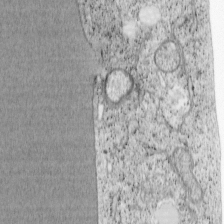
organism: African green monkey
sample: COS-7 cells